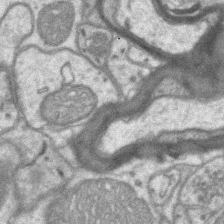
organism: Mouse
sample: CA1 Hippocampus